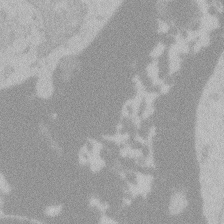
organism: Zebrafish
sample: Macrophage infected with Toxoplasma gondii